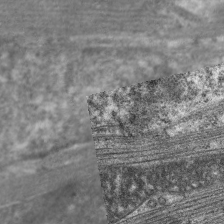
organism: C. elegans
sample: Pharynx